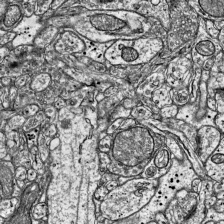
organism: Mouse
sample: Visual Cortex